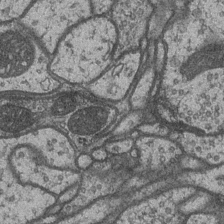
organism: Drosophila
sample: Optic medulla